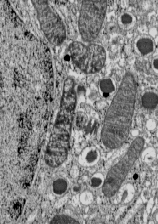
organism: C57BL Mouse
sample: Pancreatic islet